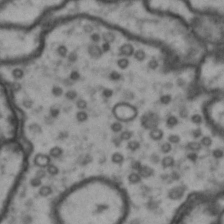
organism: Drosophila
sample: Brain